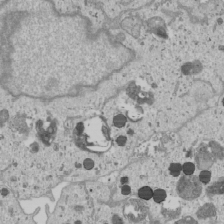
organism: Human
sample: Mitochondria in U2OS cells